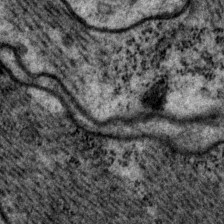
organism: P. pacificus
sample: Pharynx